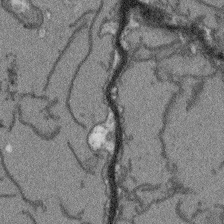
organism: Arabidopsis thaliana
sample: Root tip